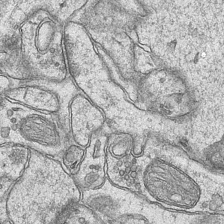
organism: Mouse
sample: CA1 Hippocampus